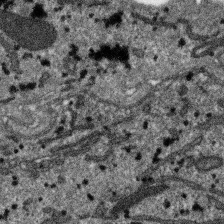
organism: Human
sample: Lung epithelial cells infected with SARS-CoV-2